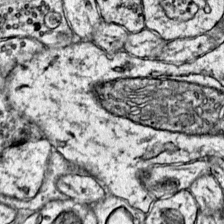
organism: Mouse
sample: Primary visual cortex